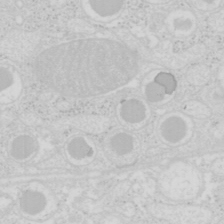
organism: Mouse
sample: Pancreas